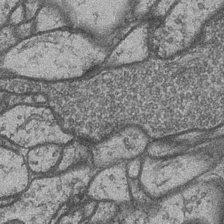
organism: Drosophila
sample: Optic medulla